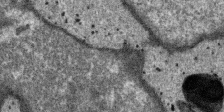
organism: Human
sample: Lung epithelial cells, uninfected (mock) control